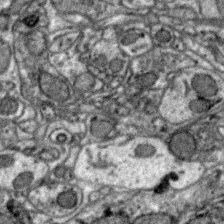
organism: Zebra finch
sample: Brain